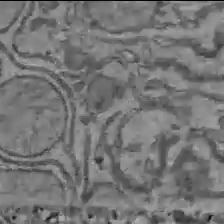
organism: C57BL Mouse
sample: Liver